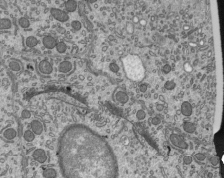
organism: Mouse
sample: Mouse epididymis efferent ductule cilia